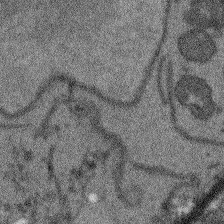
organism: Arabidopsis thaliana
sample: Root tip